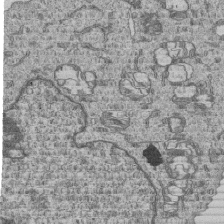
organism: Human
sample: MDA-MB-231 cells